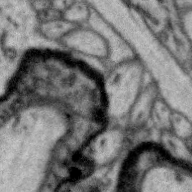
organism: Zebra finch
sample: Brain